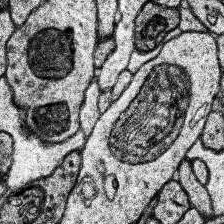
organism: Human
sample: Temporal Lobe